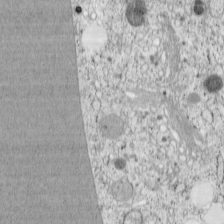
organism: African green monkey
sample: COS-7 cells